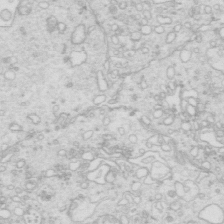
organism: Mouse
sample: Multiciliated cells